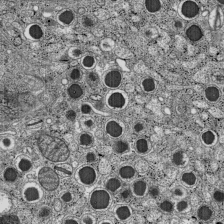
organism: C57BL Mouse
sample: Pancreatic islet